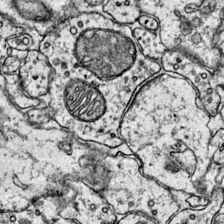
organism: Mouse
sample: Primary visual cortex